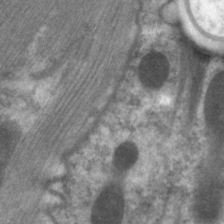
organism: C. elegans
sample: Pharynx